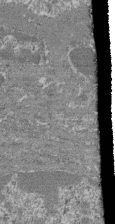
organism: Mouse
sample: Glomerulus